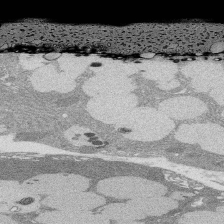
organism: Rat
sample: Salivary granule